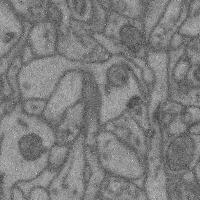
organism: Mouse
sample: Cerebral cortex